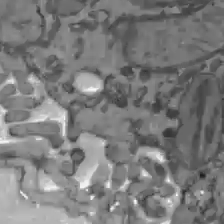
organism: C57BL Mouse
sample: Liver